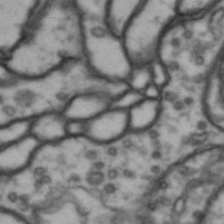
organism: Drosophila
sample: Brain